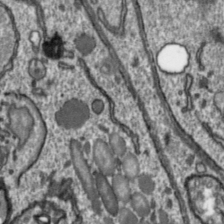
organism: Toxoplasma gondii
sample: Parasites in a vacuole inside a host cell